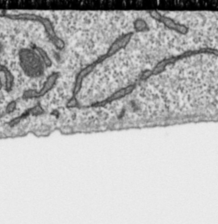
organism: Toxoplasma gondii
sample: Parasites in a vacuole inside a host cell